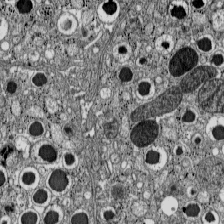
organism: C57BL Mouse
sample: Pancreatic islet